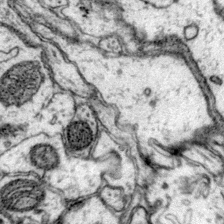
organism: Mouse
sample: Primary visual cortex